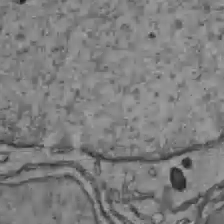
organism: C57BL Mouse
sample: Liver